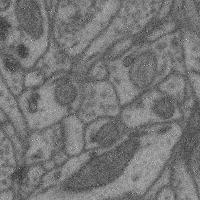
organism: Mouse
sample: Cerebral cortex